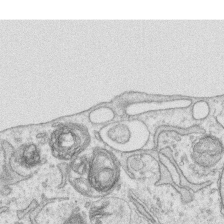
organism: Human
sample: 1205lu cells